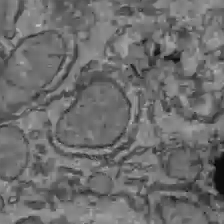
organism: C57BL Mouse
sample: Liver